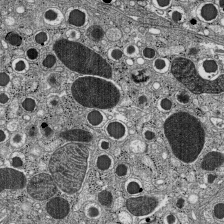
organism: C57BL Mouse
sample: Pancreatic islet